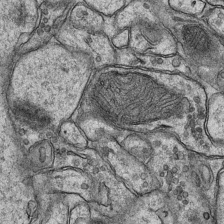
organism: Mouse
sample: CA1 Hippocampus